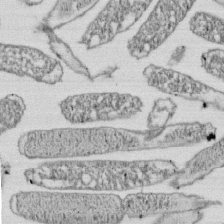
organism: E. coli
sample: Bacterial nucleoid